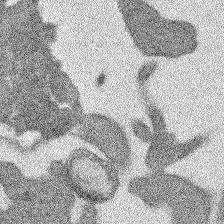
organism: Human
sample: HeLa cells